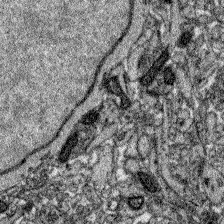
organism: Zebrafish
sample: Larval olfactory bulb